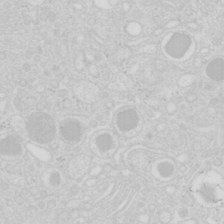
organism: Mouse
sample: Pancreas